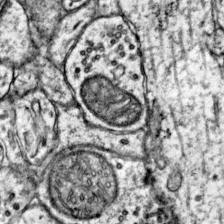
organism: Mouse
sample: Primary visual cortex